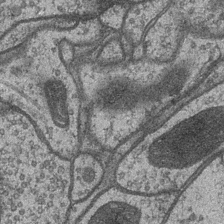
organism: Drosophila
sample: Optic medulla